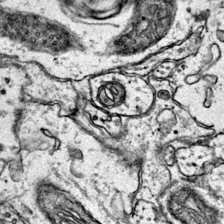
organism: Mouse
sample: Primary visual cortex